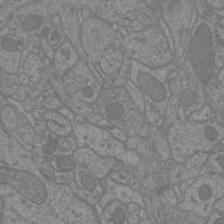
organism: Mouse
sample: Cortical neurons